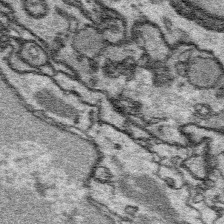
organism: Platynereis dumerilii